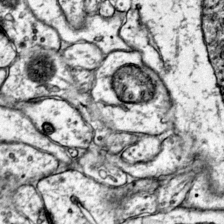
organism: Mouse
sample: Primary visual cortex